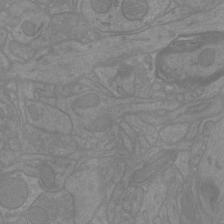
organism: Mouse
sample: Cortical neurons